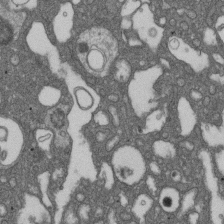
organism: Drosophila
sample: Nephrocyte